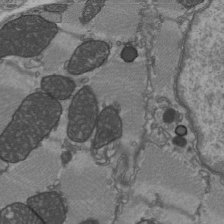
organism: C57BL Mouse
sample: Heart